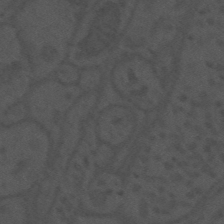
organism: Mouse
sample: Suprachiasmatic nucleus